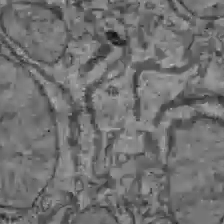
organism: C57BL Mouse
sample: Liver